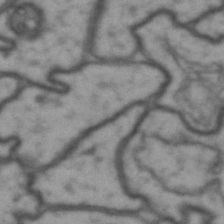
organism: Drosophila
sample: Brain